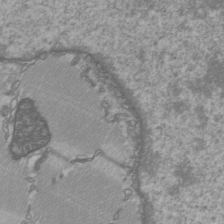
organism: C57BL Mouse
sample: Heart